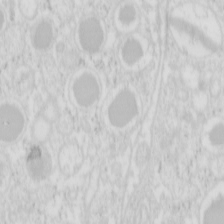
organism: Mouse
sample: Pancreas